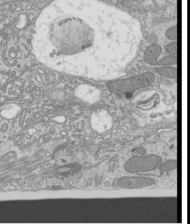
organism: Mouse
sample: Cilia; mouse epididymis